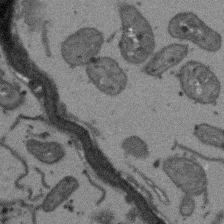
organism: Arabidopsis thaliana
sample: Root tip